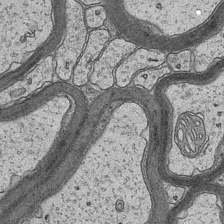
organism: Mouse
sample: CA1 Hippocampus